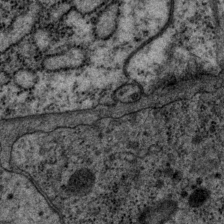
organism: P. pacificus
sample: Pharynx